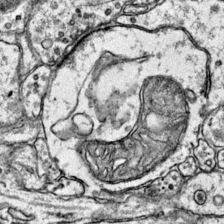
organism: Mouse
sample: Primary visual cortex